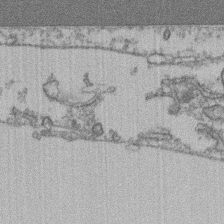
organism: Mouse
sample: T cell stromal cell synapse